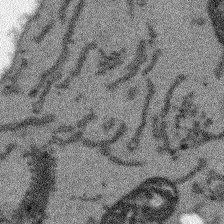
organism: Arabidopsis thaliana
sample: Root tip